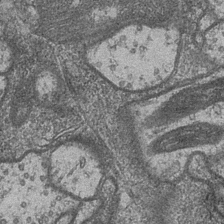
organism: Drosophila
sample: Optic medulla